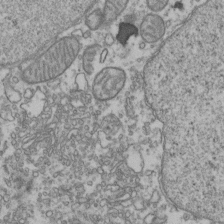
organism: Human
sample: Activated Jurkat CD4+ T cells